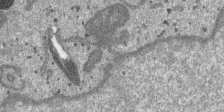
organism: Human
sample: Lung epithelial cells infected with SARS-CoV-2